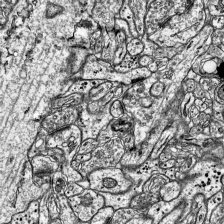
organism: Mouse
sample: Visual Cortex